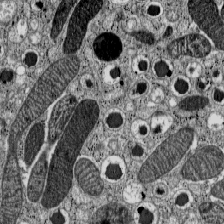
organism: C57BL Mouse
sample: Pancreatic islet